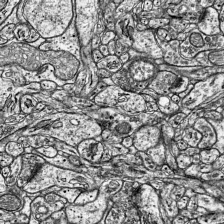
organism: Mouse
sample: Visual Cortex